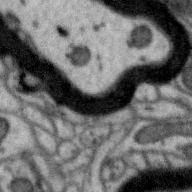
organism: Zebra finch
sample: Brain